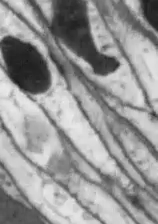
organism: Drosophila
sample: Optic lobe